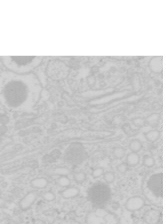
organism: Mouse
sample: Pancreas